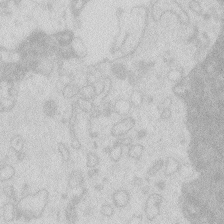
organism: Zebrafish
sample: Macrophage